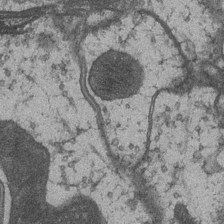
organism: Drosophila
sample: Optic medulla